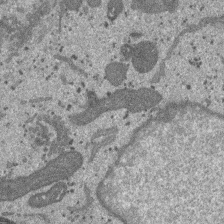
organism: Human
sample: Lung epithelial cells infected with SARS-CoV-2